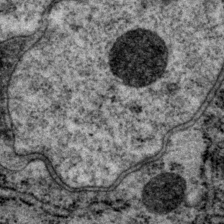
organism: P. pacificus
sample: Pharynx